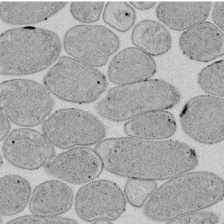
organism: E. coli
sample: Bacterial nucleoid